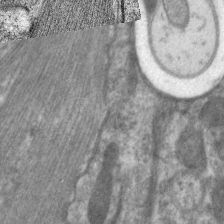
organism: C. elegans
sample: Pharynx